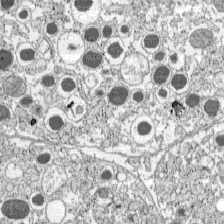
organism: C57BL Mouse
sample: Pancreatic islet